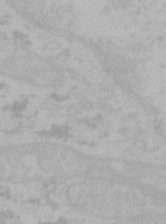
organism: Mouse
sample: Choroid plexus